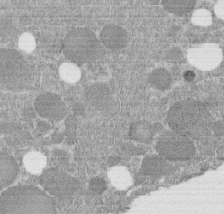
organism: C. elegans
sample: C. elegans embryo early stage